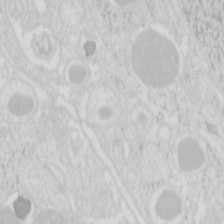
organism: Mouse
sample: Pancreas